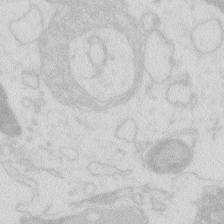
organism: Zebrafish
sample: Macrophage